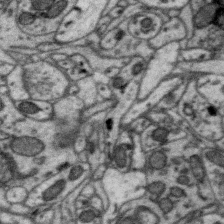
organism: Zebra finch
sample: Brain